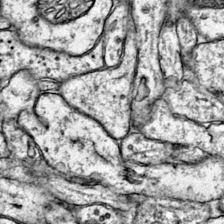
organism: Mouse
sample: Primary visual cortex